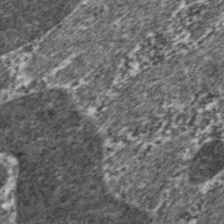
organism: C. elegans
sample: Pharynx